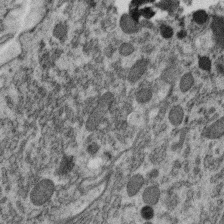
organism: C. elegans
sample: C. elegans oocyte; sperm cells